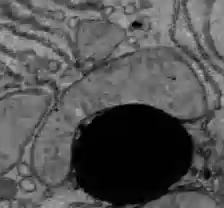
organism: C57BL Mouse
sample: Liver